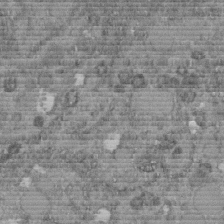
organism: C. elegans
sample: C. elegans embryo early stage